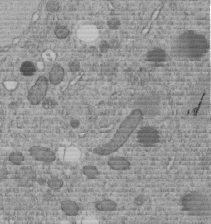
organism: C. elegans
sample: C. elegans embryo early stage